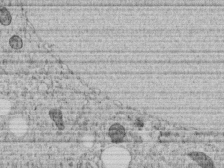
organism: C. elegans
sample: C. elegans embryo early stage